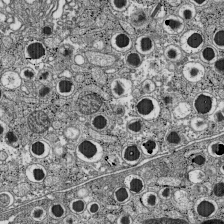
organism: C57BL Mouse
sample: Pancreatic islet